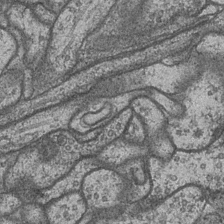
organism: Drosophila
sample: Optic medulla